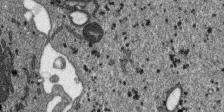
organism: Human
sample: Lung epithelial cells infected with SARS-CoV-2